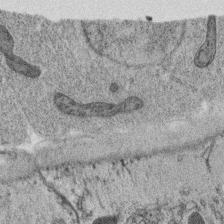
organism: C. elegans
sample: C. elegans oocyte; sperm cells